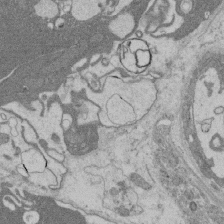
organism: Rat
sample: Salivary granule